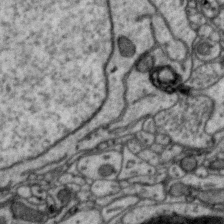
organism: Zebra finch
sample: Brain